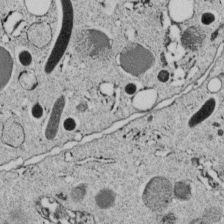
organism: C. elegans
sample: C. elegans embryo early stage